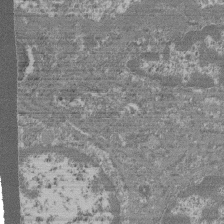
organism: Mouse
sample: Glomerulus